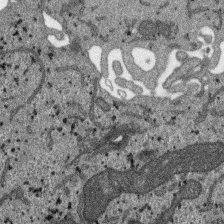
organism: Human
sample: Lung epithelial cells infected with SARS-CoV-2